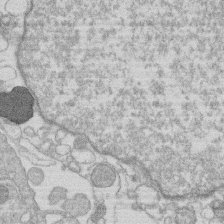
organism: Human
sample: Macrophage cells